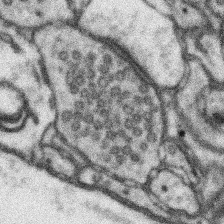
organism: Mouse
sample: Somatosensory cortex neuropil